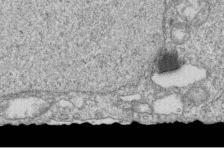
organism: Human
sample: HeLa cell HIV synapse